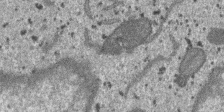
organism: Human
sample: Lung epithelial cells infected with SARS-CoV-2